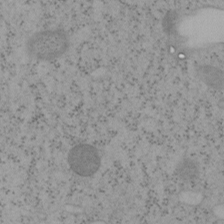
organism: Mouse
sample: OT-I killer T cells with ID8 ovarian cancer cells